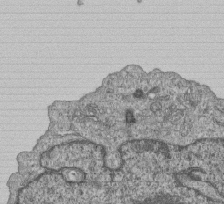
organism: Human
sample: MDA-MB-231 cells